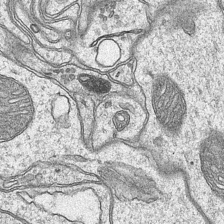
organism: Mouse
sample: CA1 Hippocampus